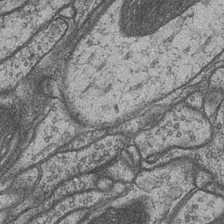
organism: Drosophila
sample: Optic medulla